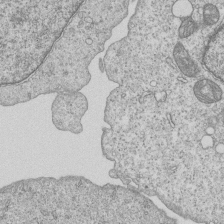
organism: Human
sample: MDA-MB-231 cells